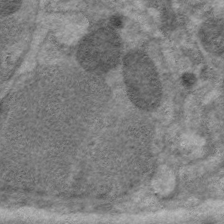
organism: C. elegans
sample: Pharynx